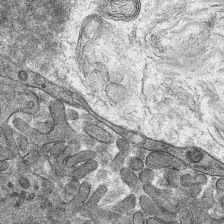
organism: Mouse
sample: Mouse hepatocytes